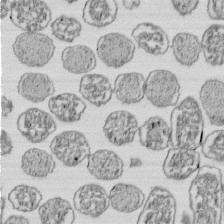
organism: E. coli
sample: Bacterial nucleoid